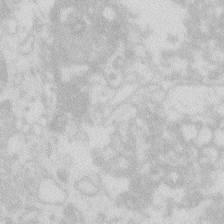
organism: Zebrafish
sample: Macrophage